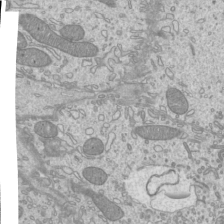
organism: Mouse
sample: Cilia; mouse epididymis